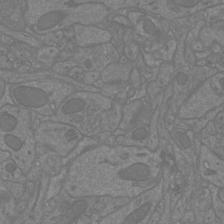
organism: Mouse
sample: Cortical neurons